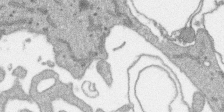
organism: Human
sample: Lung epithelial cells infected with SARS-CoV-2